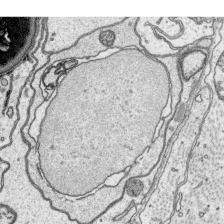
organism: Platynereis dumerilii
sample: Parapodia